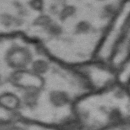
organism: Drosophila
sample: Brain